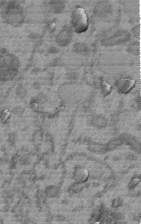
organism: C. elegans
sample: C. elegans embryo early stage